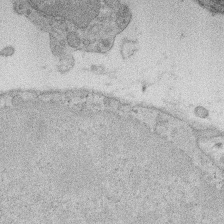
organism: Rat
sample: Salivary granule